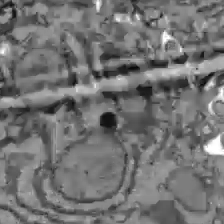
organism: C57BL Mouse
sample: Liver